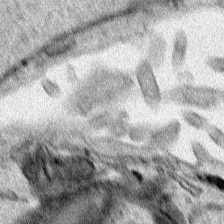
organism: Human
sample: Mitochondria in HCT116 cells